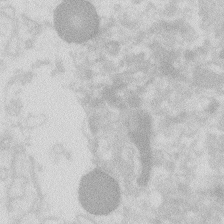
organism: Zebrafish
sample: Macrophage